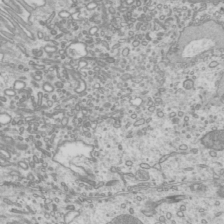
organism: Mouse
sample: Cilia; mouse epididymis